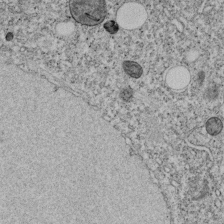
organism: C. elegans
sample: C. elegans embryo early stage